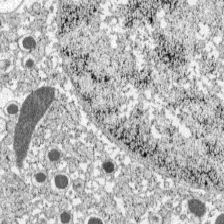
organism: C57BL Mouse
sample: Pancreatic islet